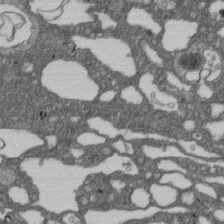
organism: Drosophila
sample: Nephrocyte